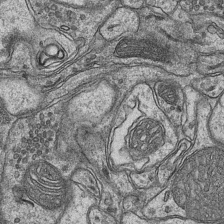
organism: Mouse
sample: CA1 Hippocampus